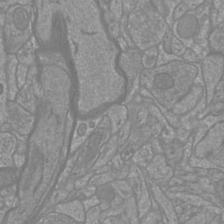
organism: Mouse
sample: Cortical neurons